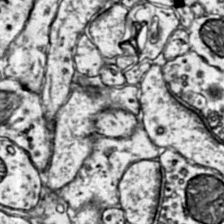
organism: Mouse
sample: Primary visual cortex